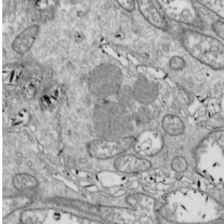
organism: Drosophila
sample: Cell division; meiosis; drosophila spermatocytes